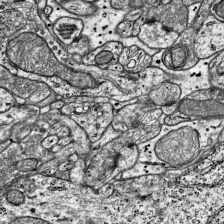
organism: Mouse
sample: Visual Cortex